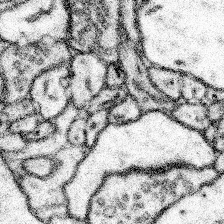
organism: Mouse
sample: Somatosensory cortex neuropil